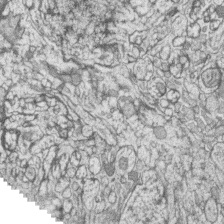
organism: Zebrafish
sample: synaptic ribbons in rod cells and cone cells